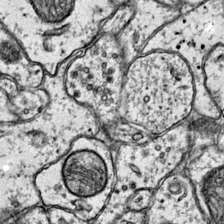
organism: Mouse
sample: Primary visual cortex